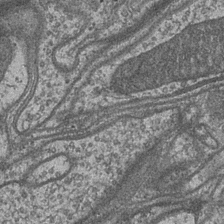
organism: Drosophila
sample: Optic medulla